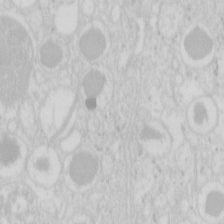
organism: Mouse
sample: Pancreas